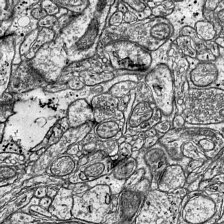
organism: Mouse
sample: Visual Cortex